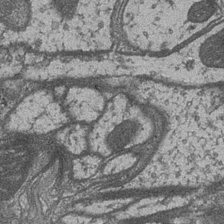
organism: Drosophila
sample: Optic medulla